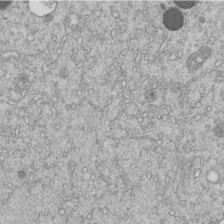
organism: C. elegans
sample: C. elegans embryo early stage